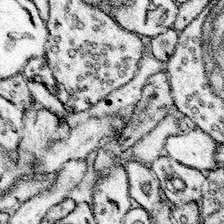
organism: Mouse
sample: Somatosensory cortex neuropil